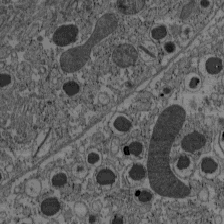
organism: C57BL Mouse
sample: Pancreatic islet